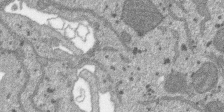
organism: Human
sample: Lung epithelial cells infected with SARS-CoV-2